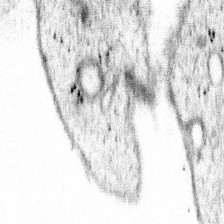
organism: Human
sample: HeLa cells